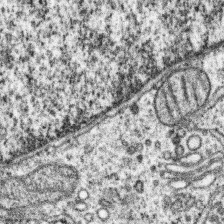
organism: Human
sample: HeLa cells